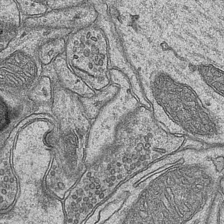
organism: Mouse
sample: CA1 Hippocampus